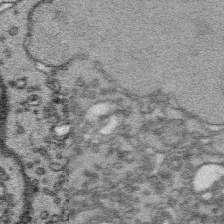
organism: Platynereis dumerilii